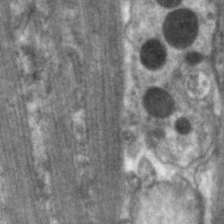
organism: C. elegans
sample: Pharynx